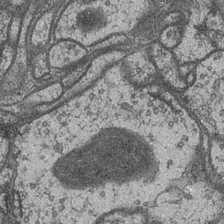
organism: Drosophila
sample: Optic medulla